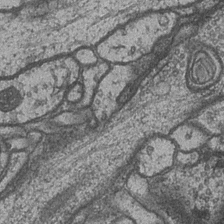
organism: Drosophila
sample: Optic medulla